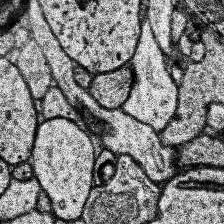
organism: Human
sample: Temporal Lobe